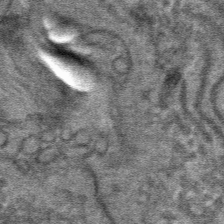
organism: Mouse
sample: Mouse hepatocytes